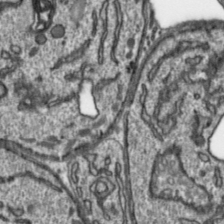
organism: Toxoplasma gondii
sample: Parasites in a vacuole inside a host cell